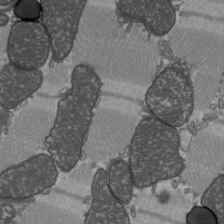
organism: C57BL Mouse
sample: Heart